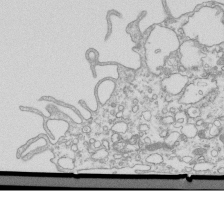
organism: Mouse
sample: Macrophages